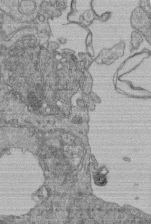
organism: Human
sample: Retinal organoid Rod and Cone cells